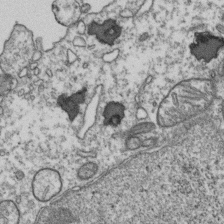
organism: Human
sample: Activated Jurkat CD4+ T cells